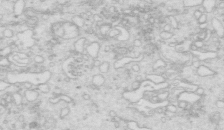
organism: Mouse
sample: Multiciliated cells